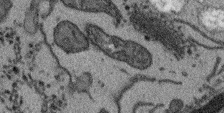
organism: Arabidopsis thaliana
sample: Root tip